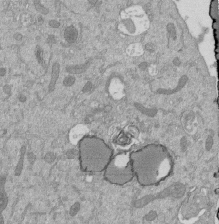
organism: Mouse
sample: ED-1 cell nuclei; centrioles